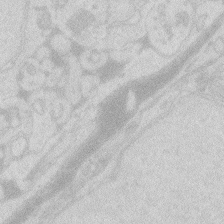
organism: Zebrafish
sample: Macrophage